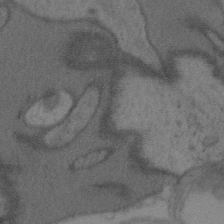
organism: Human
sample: HeLa cells